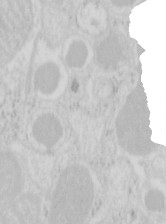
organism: Mouse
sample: Pancreas